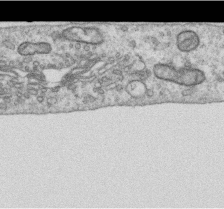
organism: Human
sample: Centriole in RPE cells